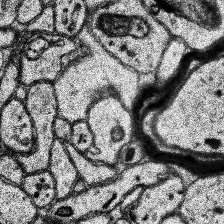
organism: Human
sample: Temporal Lobe